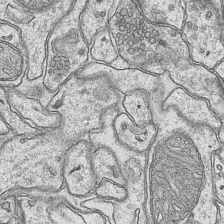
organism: Mouse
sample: CA1 Hippocampus